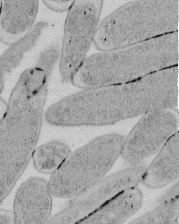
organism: E. coli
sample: Bacterial nucleoid